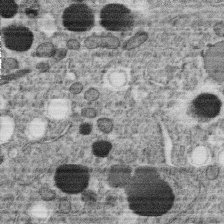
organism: C. elegans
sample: C. elegans oocyte; sperm cells